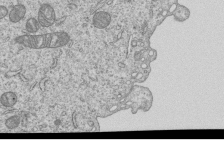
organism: Human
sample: MDA-MB-231 cells